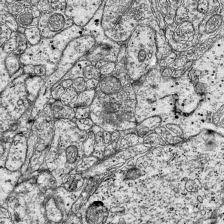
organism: Mouse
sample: Visual Cortex